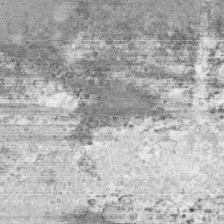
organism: Human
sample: CRL-1474